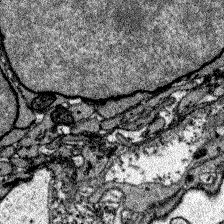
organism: Zebrafish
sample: Larval olfactory bulb